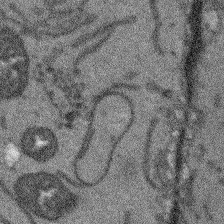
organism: Arabidopsis thaliana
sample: Root tip